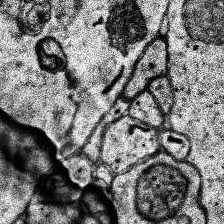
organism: Human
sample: Temporal Lobe